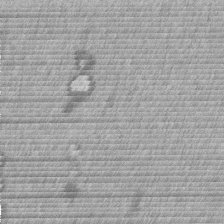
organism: Mouse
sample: Dividing mouse embryo 1 cell stage